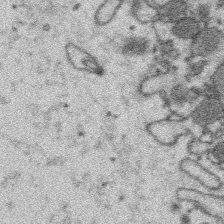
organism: Platynereis dumerilii